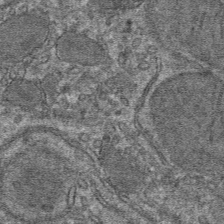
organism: Mouse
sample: Mouse hepatocytes